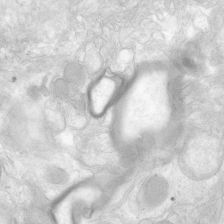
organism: Human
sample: Neocortex